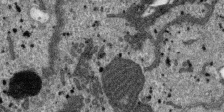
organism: Human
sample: Lung epithelial cells, uninfected (mock) control